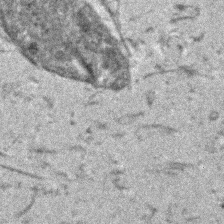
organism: Human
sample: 1205lu cells